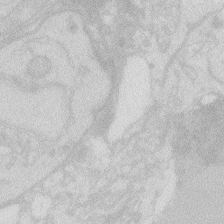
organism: Zebrafish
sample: Macrophage